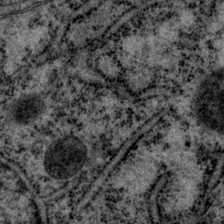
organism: P. pacificus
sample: Pharynx